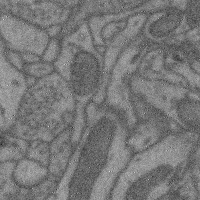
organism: Mouse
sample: Cerebral cortex